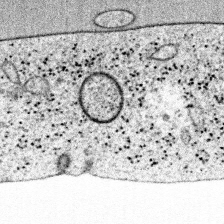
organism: Human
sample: HeLa cells